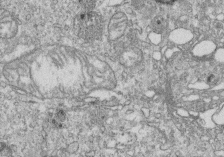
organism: Human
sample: HeLa cell HIV synapse